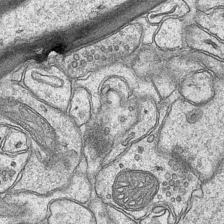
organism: Mouse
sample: CA1 Hippocampus